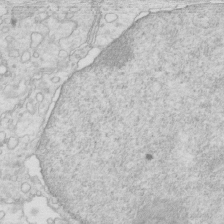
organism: Mouse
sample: Multiciliated cells